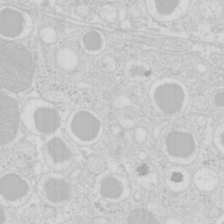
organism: Mouse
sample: Pancreas